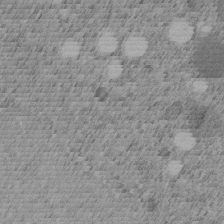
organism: C. elegans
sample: C. elegans embryo early stage